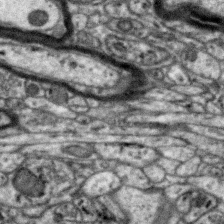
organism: Zebra finch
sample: Brain